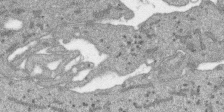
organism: Human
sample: Lung epithelial cells infected with SARS-CoV-2